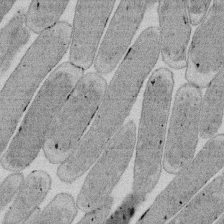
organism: E. coli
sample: Bacterial nucleoid